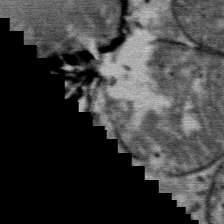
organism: Mouse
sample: Mouse Salivary gland